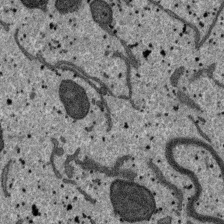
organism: Human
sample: Lung epithelial cells, uninfected (mock) control